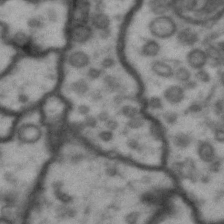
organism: Drosophila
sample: Brain